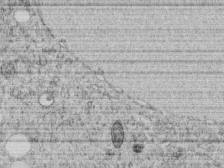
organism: C. elegans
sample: C. elegans embryo early stage